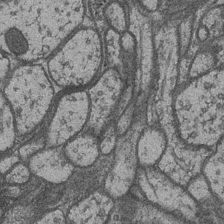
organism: Drosophila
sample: Optic medulla